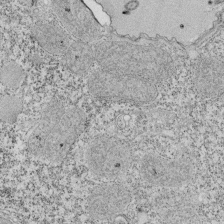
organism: Tetrahymena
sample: Cilia in tetrahymena